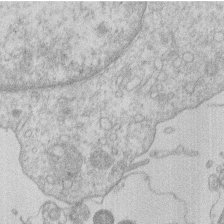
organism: Human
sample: Macrophage cells